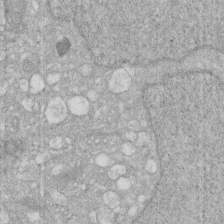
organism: Human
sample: HIV infected U937 cells